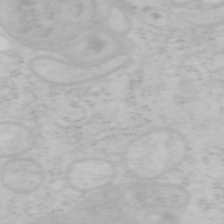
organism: Mouse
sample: OT-I killer T cells with ID8 ovarian cancer cells